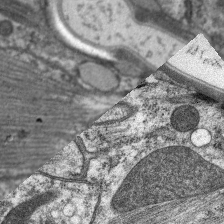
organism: C. elegans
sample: Pharynx